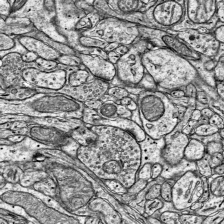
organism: Mouse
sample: Visual Cortex